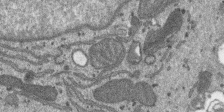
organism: Human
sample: Lung epithelial cells infected with SARS-CoV-2